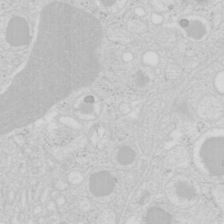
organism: Mouse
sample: Pancreas